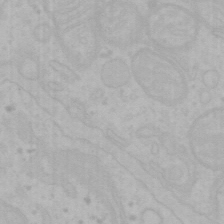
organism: Mouse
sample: Choroid plexus